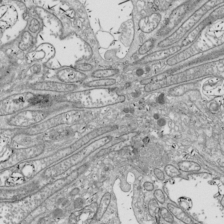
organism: Drosophila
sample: Cell division; meiosis; drosophila spermatocytes